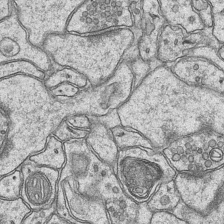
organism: Mouse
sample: CA1 Hippocampus